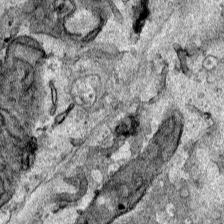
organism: Human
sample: Mitochondria in HCT116 cells